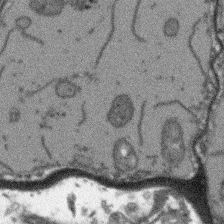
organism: Arabidopsis thaliana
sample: Root tip